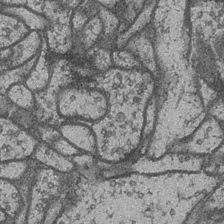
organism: Drosophila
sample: Optic medulla